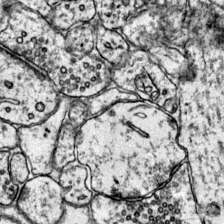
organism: Mouse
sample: Primary visual cortex